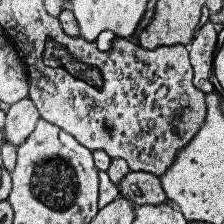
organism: Human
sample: Temporal Lobe